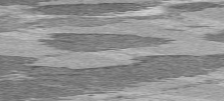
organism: C57BL Mouse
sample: Heart